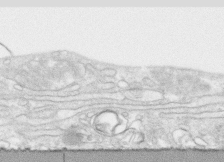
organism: Human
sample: CRL-1474